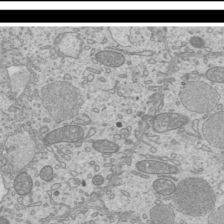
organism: Mouse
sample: Cilia; mouse epididymis